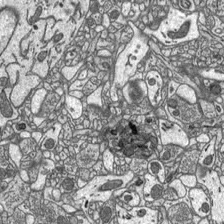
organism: C57BL Mouse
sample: Optic nerve head